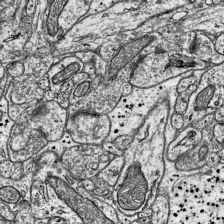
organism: Mouse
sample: Visual Cortex